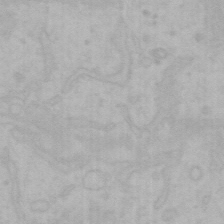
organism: Mouse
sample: Choroid plexus